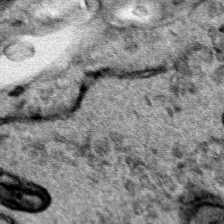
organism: Human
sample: Mitochondria in HCT116 cells